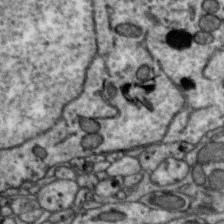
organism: Zebra finch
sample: Brain